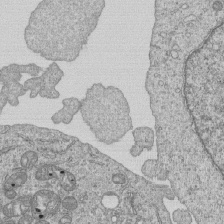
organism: Human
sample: MDA-MB-231 cells